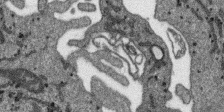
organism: Human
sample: Lung epithelial cells infected with SARS-CoV-2